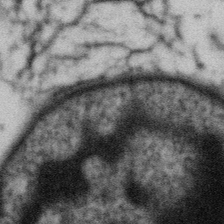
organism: Gemmata obscuriglobus